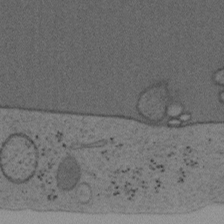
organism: Human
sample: HeLa cells